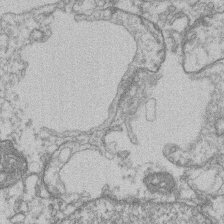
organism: Mouse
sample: T cell stromal cell synapse